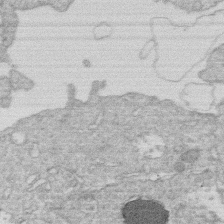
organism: Human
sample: Macrophage cells